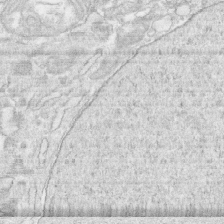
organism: Human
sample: CRL-1474